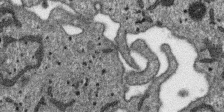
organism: Human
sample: Lung epithelial cells infected with SARS-CoV-2